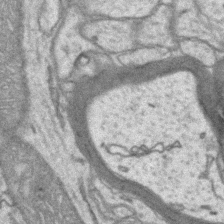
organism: Mouse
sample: CA1 Hippocampus